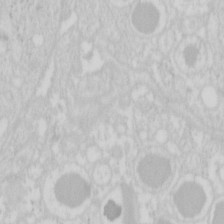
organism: Mouse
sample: Pancreas